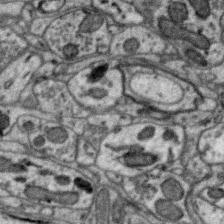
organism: Zebra finch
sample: Brain